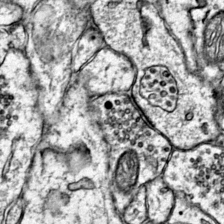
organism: Mouse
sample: Primary visual cortex